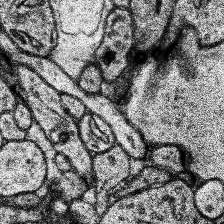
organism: Human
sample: Temporal Lobe